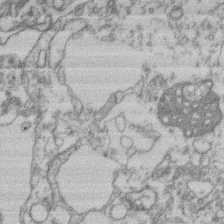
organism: Mouse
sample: T cell stromal cell synapse